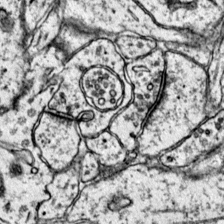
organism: Mouse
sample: Primary visual cortex